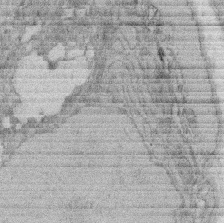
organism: Rat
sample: Salivary granule